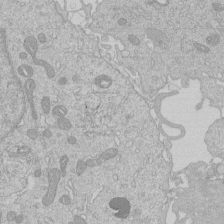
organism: Human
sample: Macrophage cells